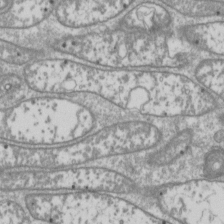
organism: Drosophila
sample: Cell division; meiosis; drosophila spermatocytes